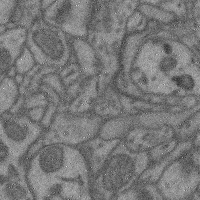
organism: Mouse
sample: Cerebral cortex